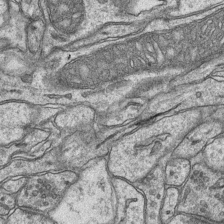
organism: Mouse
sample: CA1 Hippocampus